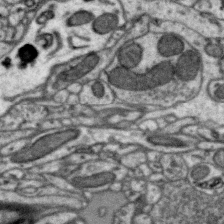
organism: Zebra finch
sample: Brain